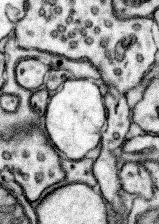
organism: Mouse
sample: Somatosensory cortex neuropil